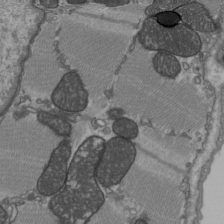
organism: C57BL Mouse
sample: Heart